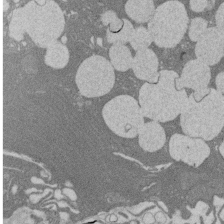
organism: Rat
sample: Salivary granule